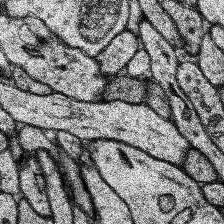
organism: Human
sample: Temporal Lobe